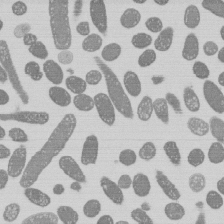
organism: E. coli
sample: Bacterial nucleoid